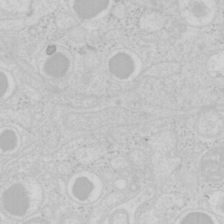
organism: Mouse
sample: Pancreas